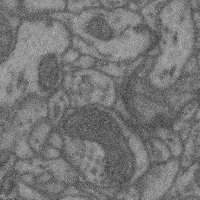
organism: Mouse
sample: Cerebral cortex